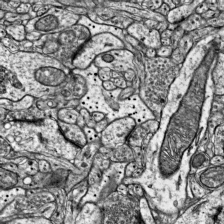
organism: Mouse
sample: Visual Cortex